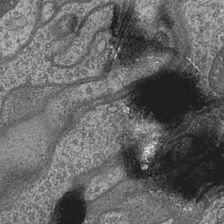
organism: Drosophila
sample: Optic medulla